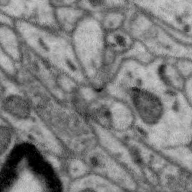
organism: Zebra finch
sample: Brain